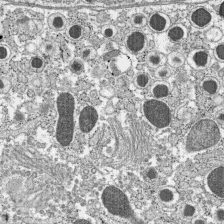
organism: C57BL Mouse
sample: Pancreatic islet